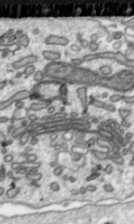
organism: Toxoplasma gondii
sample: Parasites in a vacuole inside a host cell